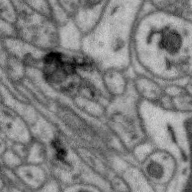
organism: Zebra finch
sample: Brain